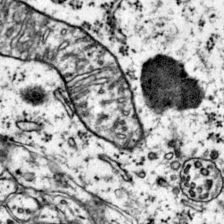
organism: Mouse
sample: Primary visual cortex